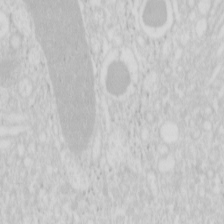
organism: Mouse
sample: Pancreas